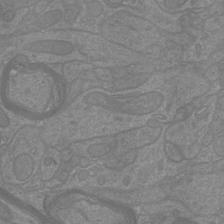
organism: Mouse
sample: Cortical neurons